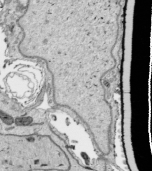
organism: Human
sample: Mitochondria in HCT116 cells